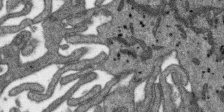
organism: Human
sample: Lung epithelial cells, uninfected (mock) control